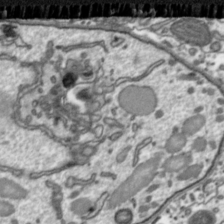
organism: Toxoplasma gondii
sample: Parasites in a vacuole inside a host cell